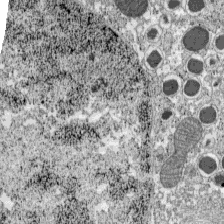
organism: C57BL Mouse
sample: Pancreatic islet